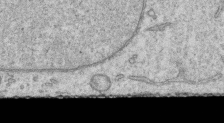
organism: Human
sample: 1205lu cells